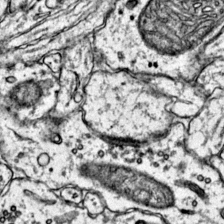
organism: Mouse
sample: Primary visual cortex